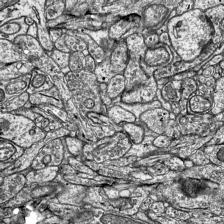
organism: Mouse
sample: Visual Cortex